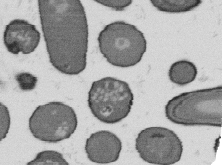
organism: B. subtilis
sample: Bacterial spore